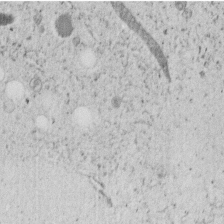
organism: C. elegans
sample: C. elegans embryo early stage